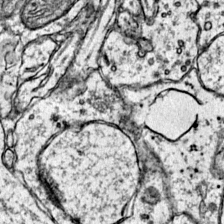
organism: Mouse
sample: Primary visual cortex